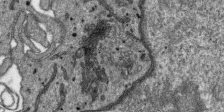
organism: Human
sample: Lung epithelial cells, uninfected (mock) control